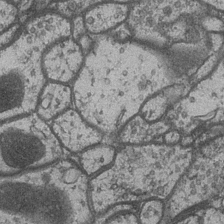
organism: Drosophila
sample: Optic medulla